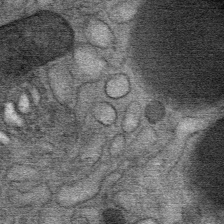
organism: Mouse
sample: Mouse Salivary gland